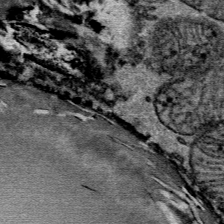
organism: Mouse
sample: Mouse Salivary gland